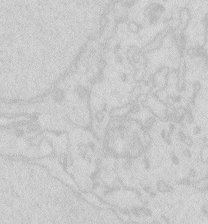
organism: Zebrafish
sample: Macrophage